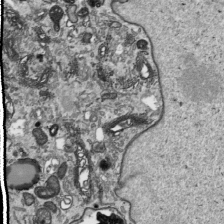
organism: Human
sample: Mitochondria in HCT116 cells